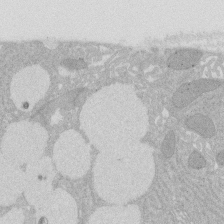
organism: Rat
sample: Salivary granule